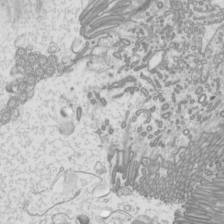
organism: Mouse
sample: Cilia; mouse epididymis